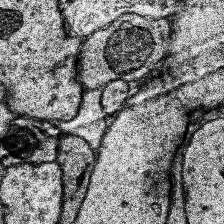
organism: Human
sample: Temporal Lobe